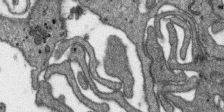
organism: Human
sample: Lung epithelial cells, uninfected (mock) control